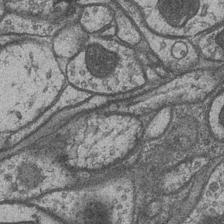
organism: Drosophila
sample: Optic medulla